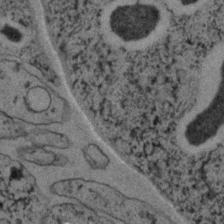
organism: C. elegans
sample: C. elegans embryo